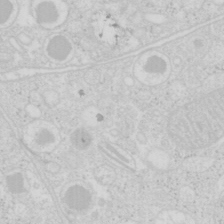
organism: Mouse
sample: Pancreas